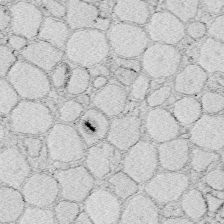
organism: Zebrafish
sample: Whole-Brain